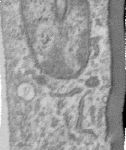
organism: Human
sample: Centriole in RPE cells